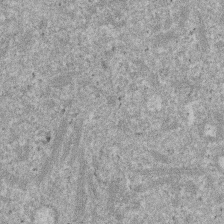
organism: Mouse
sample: Dividing mouse embryo 1 cell stage